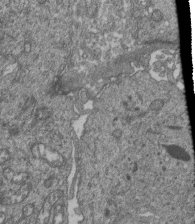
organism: Human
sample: Retinal organoid Rod and Cone cells